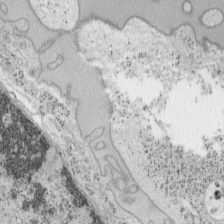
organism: Mouse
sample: OT-I killer T cells with ID8 ovarian cancer cells